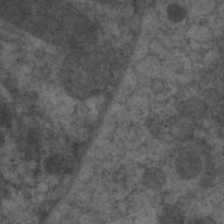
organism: C. elegans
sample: Pharynx